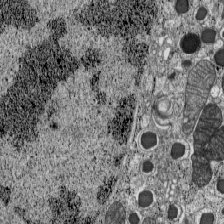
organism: C57BL Mouse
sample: Pancreatic islet